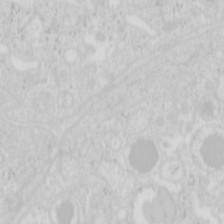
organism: Mouse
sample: Pancreas